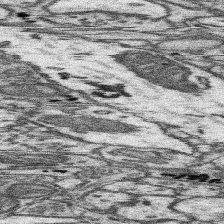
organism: Mouse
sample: Somatosensory cortex neuropil